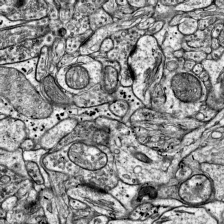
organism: Mouse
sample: Visual Cortex